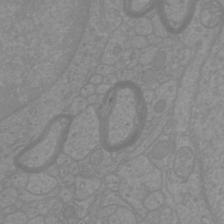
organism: Mouse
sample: Cortical neurons